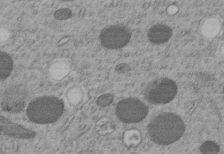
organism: C. elegans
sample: C. elegans embryo early stage